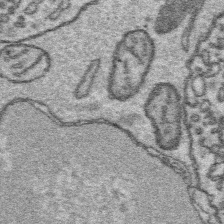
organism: Platynereis dumerilii